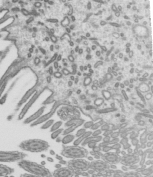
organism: Mouse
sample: Mouse epididymis efferent ductule cilia